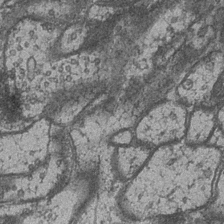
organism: Drosophila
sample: Optic medulla